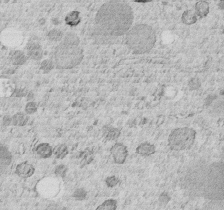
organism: C. elegans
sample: C. elegans embryo early stage